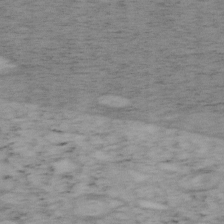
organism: Mouse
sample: OT-I killer T cells with ID8 ovarian cancer cells